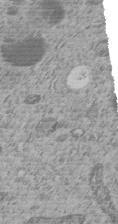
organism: C. elegans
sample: C. elegans embryo early stage